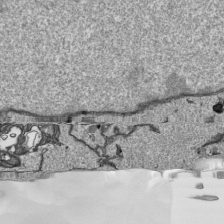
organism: Human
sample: Mitochondria in HCT116 cells